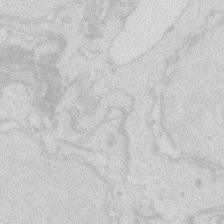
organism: Zebrafish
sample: Macrophage